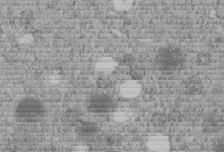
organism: C. elegans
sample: C. elegans embryo early stage